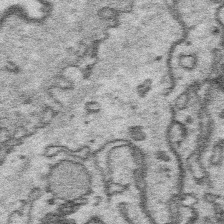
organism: Platynereis dumerilii